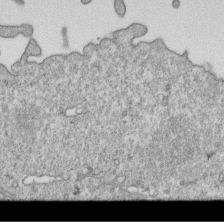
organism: Mouse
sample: Activated OT-1 CD8+ T cells